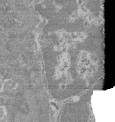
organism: Mouse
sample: Glomerulus